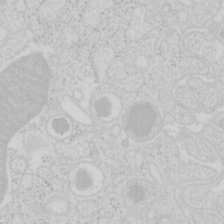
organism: Mouse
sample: Pancreas